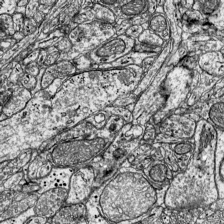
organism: Mouse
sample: Visual Cortex